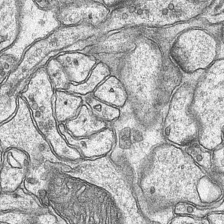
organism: Mouse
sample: CA1 Hippocampus